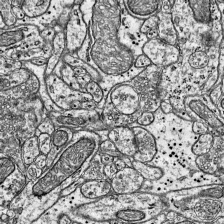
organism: Mouse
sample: Visual Cortex